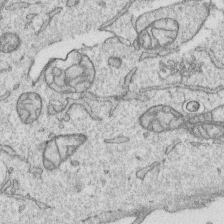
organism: Human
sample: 1205lu cells